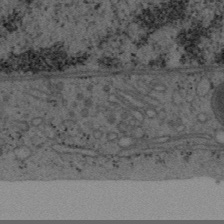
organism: Human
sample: HeLa cells